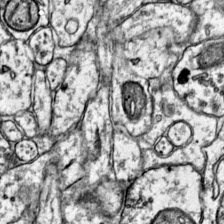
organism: Mouse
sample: Primary visual cortex